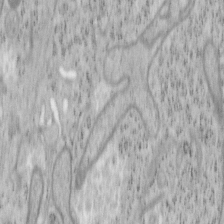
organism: Human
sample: HeLa cells